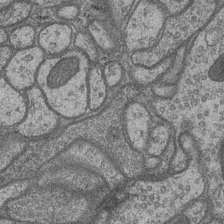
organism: Drosophila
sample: Optic medulla